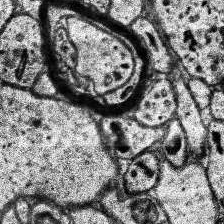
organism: Human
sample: Temporal Lobe